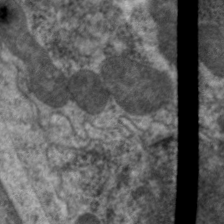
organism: C. elegans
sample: Pharynx